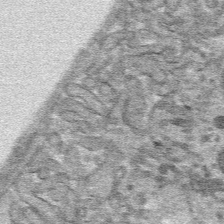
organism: Mouse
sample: Mouse hepatocytes